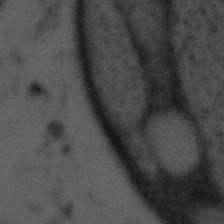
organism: Tuwongella immobilis